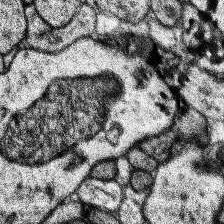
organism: Human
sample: Temporal Lobe